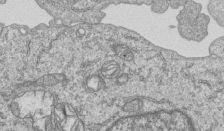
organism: Human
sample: MDA-MB-231 cells